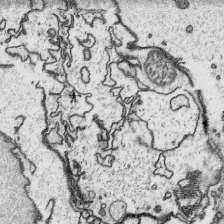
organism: Platynereis dumerilii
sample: Parapodia